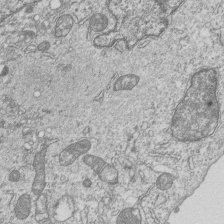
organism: Human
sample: MDA-MB-231 cells